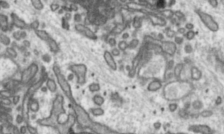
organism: Toxoplasma gondii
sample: Parasites in a vacuole inside a host cell